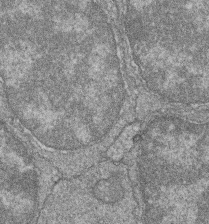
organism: Zebrafish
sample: Cilia; retinal pigment epithelium